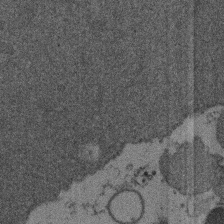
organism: Mouse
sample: Dividing mouse embryo 1 cell stage